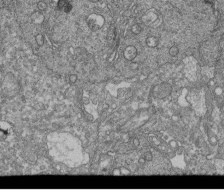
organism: Human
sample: Retinal organoid Rod and Cone cells